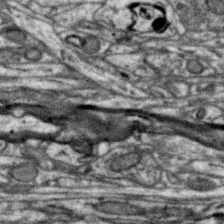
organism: Zebra finch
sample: Brain